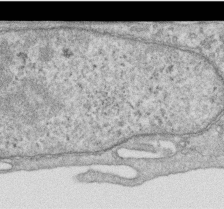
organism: Human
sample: Centriole in RPE cells